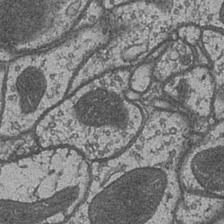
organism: Drosophila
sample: Optic medulla